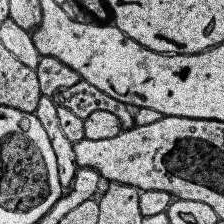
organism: Human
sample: Temporal Lobe